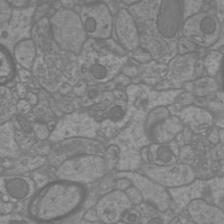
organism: Mouse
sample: Cortical neurons